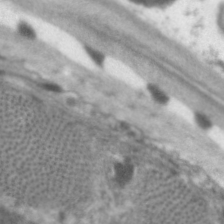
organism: C. elegans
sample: Pharynx